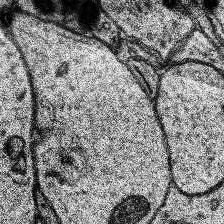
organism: Human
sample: Temporal Lobe